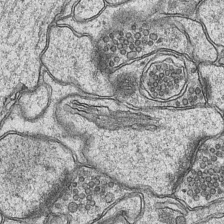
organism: Mouse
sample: CA1 Hippocampus